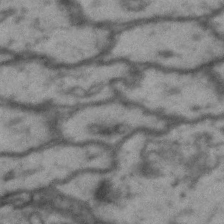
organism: Drosophila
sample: Brain